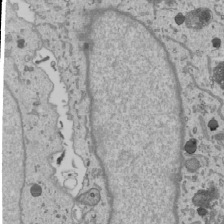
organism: Human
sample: Mitochondria in U2OS cells